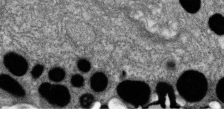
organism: Zebrafish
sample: Cilia; retinal pigment epithelium